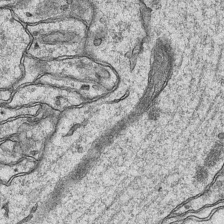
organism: Mouse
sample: CA1 Hippocampus